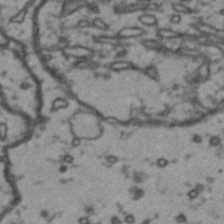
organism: Drosophila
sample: Brain